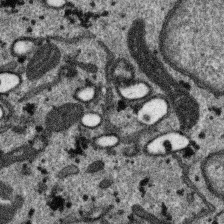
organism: Human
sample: Lung epithelial cells infected with SARS-CoV-2